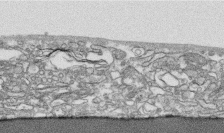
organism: Human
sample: CRL-1474